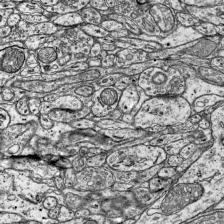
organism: Mouse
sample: Visual Cortex